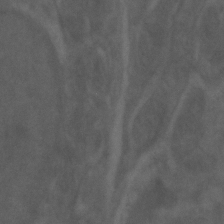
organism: Zebrafish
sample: Zebrafish embryo